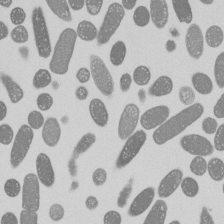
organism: E. coli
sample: Bacterial nucleoid